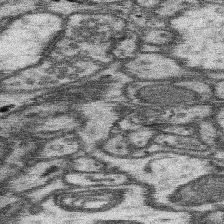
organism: Mouse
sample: Somatosensory cortex neuropil